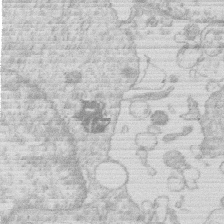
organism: Human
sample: Macrophage cells